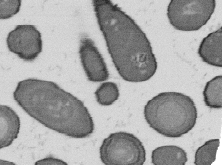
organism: B. subtilis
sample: Bacterial spore